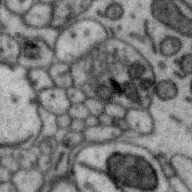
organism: Zebra finch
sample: Brain